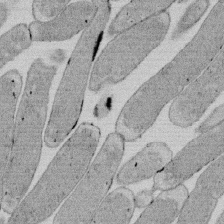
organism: E. coli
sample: Bacterial nucleoid